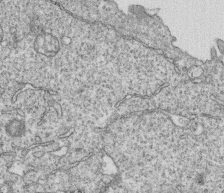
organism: Human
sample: HeLa cell HIV synapse